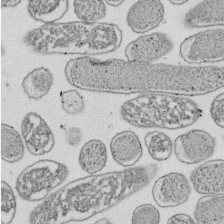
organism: E. coli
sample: Bacterial nucleoid